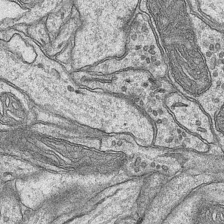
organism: Mouse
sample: CA1 Hippocampus